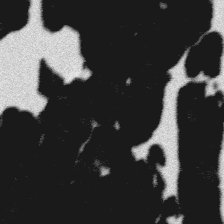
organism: Platynereis dumerilii